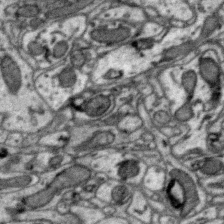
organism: Zebra finch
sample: Brain